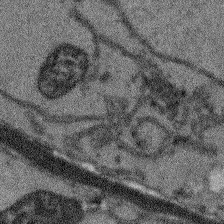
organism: Arabidopsis thaliana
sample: Root tip